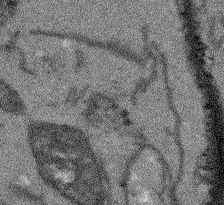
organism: Arabidopsis thaliana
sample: Root tip